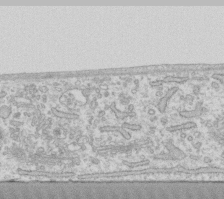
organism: Human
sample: Fibroblast cells